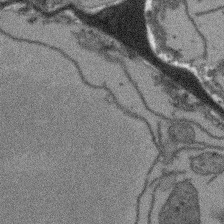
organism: Arabidopsis thaliana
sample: Root tip